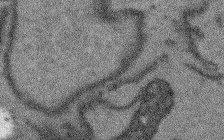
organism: Arabidopsis thaliana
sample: Root tip